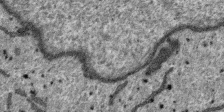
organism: Human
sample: Lung epithelial cells, uninfected (mock) control